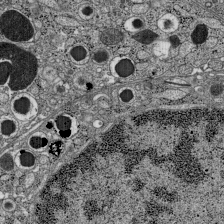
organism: C57BL Mouse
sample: Pancreatic islet